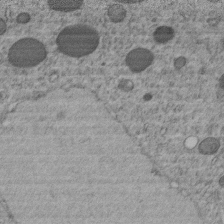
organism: C. elegans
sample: C. elegans embryo early stage